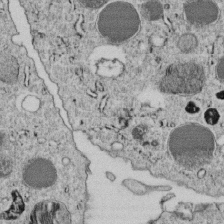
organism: C. elegans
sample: C. elegans embryo early stage